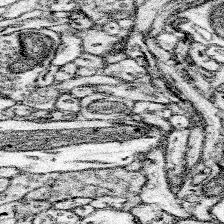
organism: Mouse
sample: Somatosensory cortex neuropil